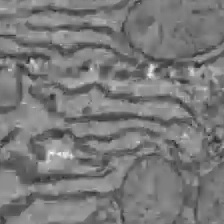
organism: C57BL Mouse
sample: Liver